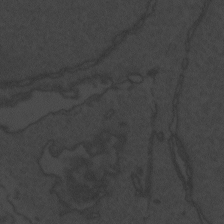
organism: Zebrafish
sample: Macrophage infected with Toxoplasma gondii